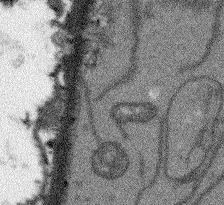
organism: Arabidopsis thaliana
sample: Root tip